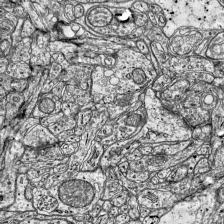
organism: Mouse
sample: Visual Cortex